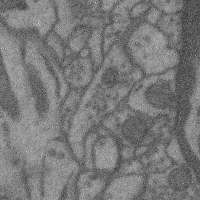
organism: Mouse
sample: Cerebral cortex